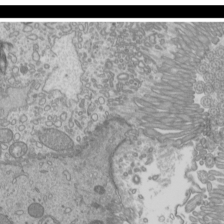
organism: Mouse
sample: Cilia; mouse epididymis